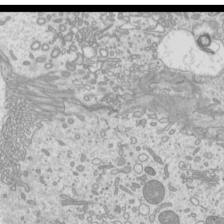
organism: Mouse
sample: Cilia; mouse epididymis